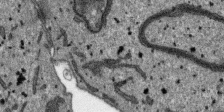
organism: Human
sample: Lung epithelial cells, uninfected (mock) control